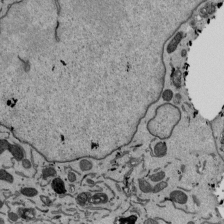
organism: Mouse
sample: ED-1 cell nuclei; centrioles